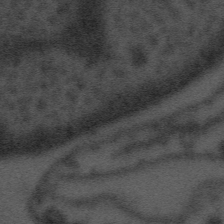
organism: Tuwongella immobilis